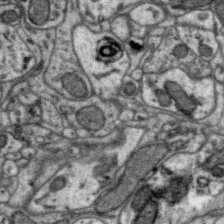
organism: Zebra finch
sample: Brain